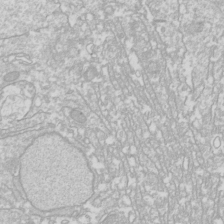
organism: Drosophila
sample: Cell division; meiosis; drosophila spermatocytes